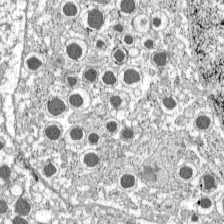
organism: C57BL Mouse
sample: Pancreatic islet